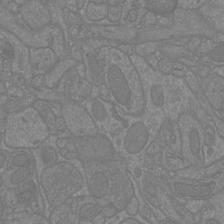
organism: Mouse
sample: Cortical neurons